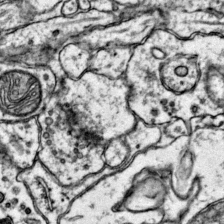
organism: Mouse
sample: Primary visual cortex